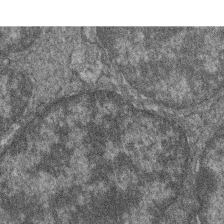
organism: Zebrafish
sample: Cilia; retinal pigment epithelium